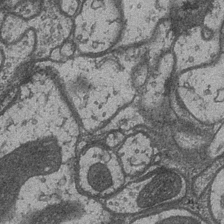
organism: Drosophila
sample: Optic medulla